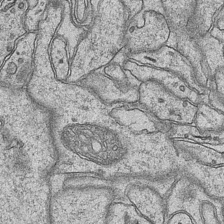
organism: Mouse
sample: CA1 Hippocampus